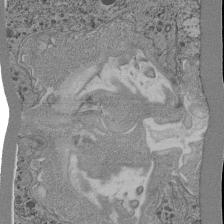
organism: C. elegans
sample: C. elegans pharynx